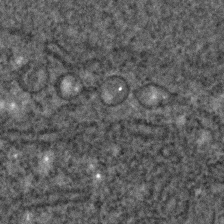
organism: C. elegans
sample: C. elegans embryo